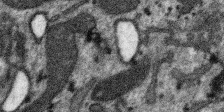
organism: Human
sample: Lung epithelial cells infected with SARS-CoV-2